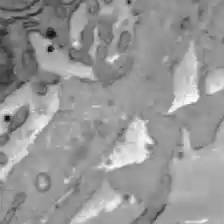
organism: C57BL Mouse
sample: Liver